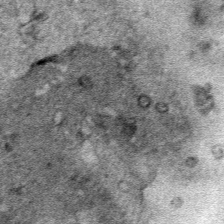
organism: Human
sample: Mitochondria in HCT116 cells